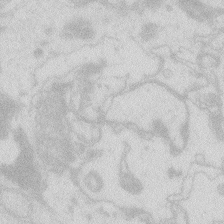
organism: Zebrafish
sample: Macrophage